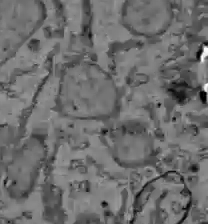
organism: C57BL Mouse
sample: Liver